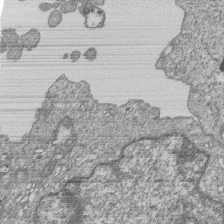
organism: Human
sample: MDA-MB-231 cells